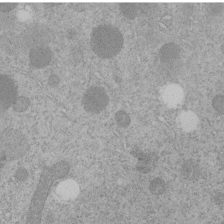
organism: C. elegans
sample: C. elegans embryo early stage